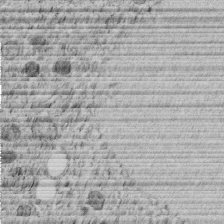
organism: C. elegans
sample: C. elegans embryo early stage